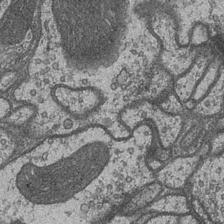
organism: Drosophila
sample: Optic medulla